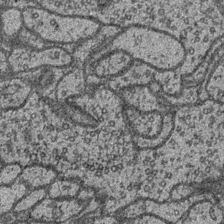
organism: Drosophila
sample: Optic medulla